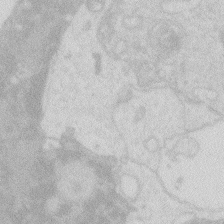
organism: Zebrafish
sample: Macrophage